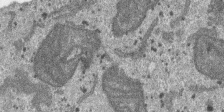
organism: Human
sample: Lung epithelial cells infected with SARS-CoV-2